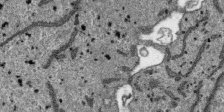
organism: Human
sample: Lung epithelial cells, uninfected (mock) control